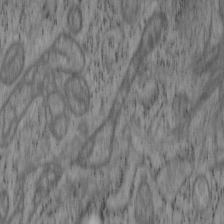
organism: Human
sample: HeLa cells